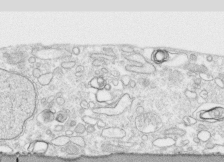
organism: Human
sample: CRL-1474